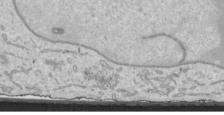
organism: Human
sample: Mitochondria in HCT116 cells